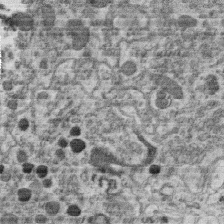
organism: C. elegans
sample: C. elegans oocyte; sperm cells